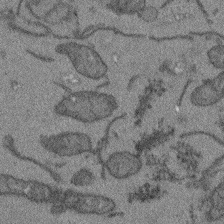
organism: Arabidopsis thaliana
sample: Root tip